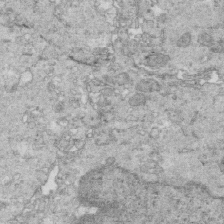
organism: Mouse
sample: Multiciliated cells